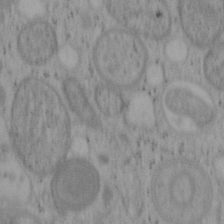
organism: Mouse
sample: OT-I killer T cells with ID8 ovarian cancer cells